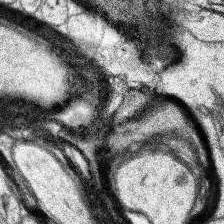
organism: Human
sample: Temporal Lobe